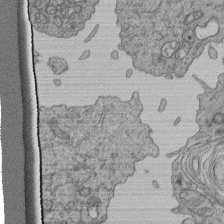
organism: Human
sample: Retinal organoid Rod and Cone cells